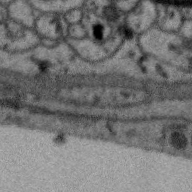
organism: Zebra finch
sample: Brain